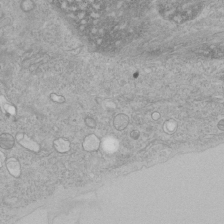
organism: Human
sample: Mitochondria in HCT116 cells